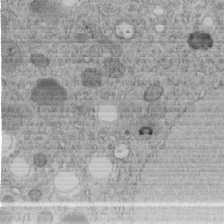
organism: C. elegans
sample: C. elegans embryo early stage